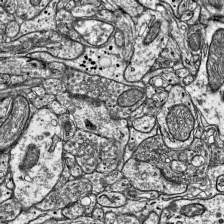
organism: Mouse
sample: Visual Cortex